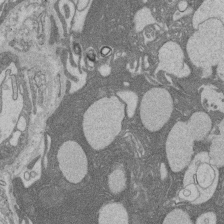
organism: Rat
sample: Salivary granule